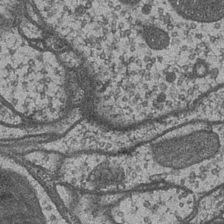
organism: Drosophila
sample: Optic medulla